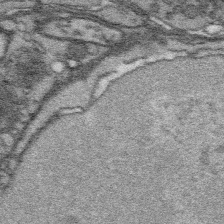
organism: Platynereis dumerilii